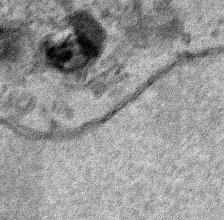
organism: Human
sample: Mitochondria in HCT116 cells